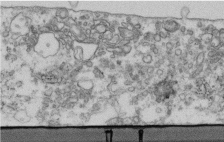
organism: Human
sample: Centriole in fibroblast cells